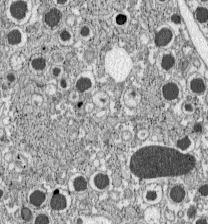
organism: C57BL Mouse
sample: Pancreatic islet